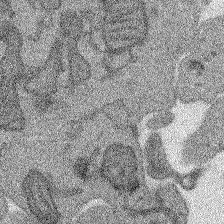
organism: Human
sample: HeLa cells